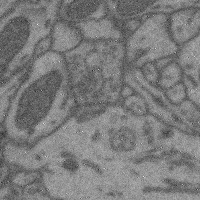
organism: Mouse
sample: Cerebral cortex